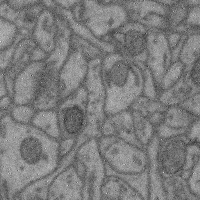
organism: Mouse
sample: Cerebral cortex